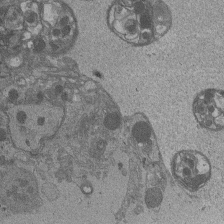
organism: Drosophila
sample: Antenna